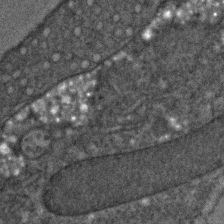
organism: C. elegans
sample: C. elegans embryo